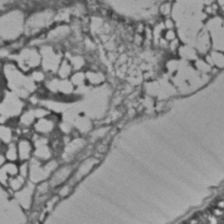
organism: C. elegans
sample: C. elegans embryo